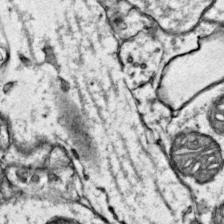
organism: Mouse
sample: Primary visual cortex